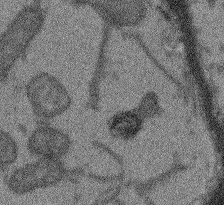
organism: Arabidopsis thaliana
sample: Root tip